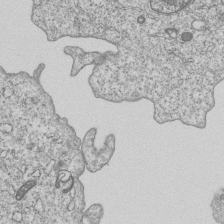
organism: Human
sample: MDA-MB-231 cells